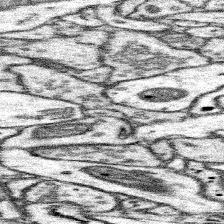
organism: Mouse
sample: Somatosensory cortex neuropil